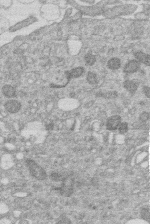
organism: Human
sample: Macrophage cells